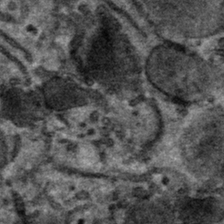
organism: Mouse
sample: Mouse hepatocytes